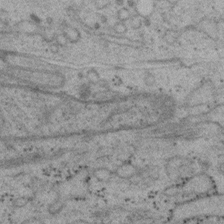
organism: Human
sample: HeLa cells